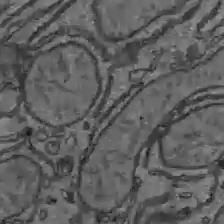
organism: C57BL Mouse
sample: Liver